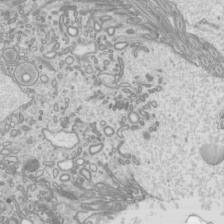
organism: Mouse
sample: Cilia; mouse epididymis